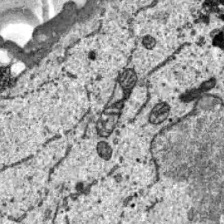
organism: Human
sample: HeLa cells